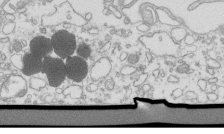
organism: Mouse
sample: Macrophages